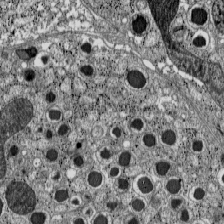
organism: C57BL Mouse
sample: Pancreatic islet